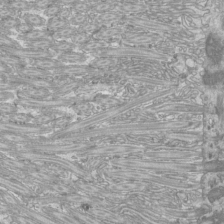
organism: Mouse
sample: Cilia; mouse epididymis